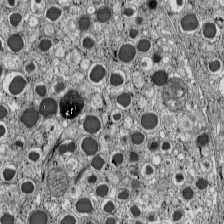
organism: C57BL Mouse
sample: Pancreatic islet